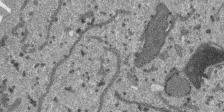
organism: Human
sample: Lung epithelial cells infected with SARS-CoV-2